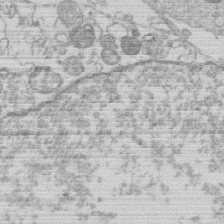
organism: Human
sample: Macrophage cells